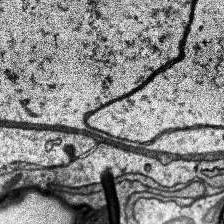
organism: Human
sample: Temporal Lobe